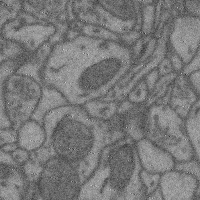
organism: Mouse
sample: Cerebral cortex